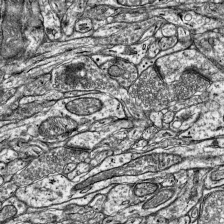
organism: Mouse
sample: Visual Cortex